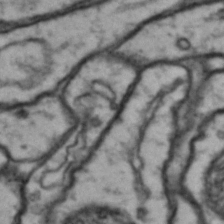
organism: Drosophila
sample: Brain